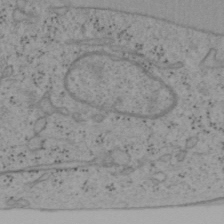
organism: Human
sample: HeLa cells